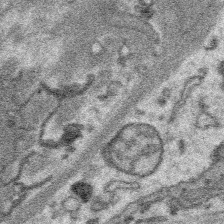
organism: Platynereis dumerilii